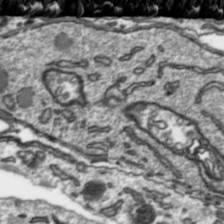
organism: Toxoplasma gondii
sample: Parasites in a vacuole inside a host cell